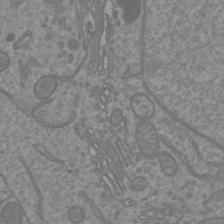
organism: Mouse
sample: Cortical neurons